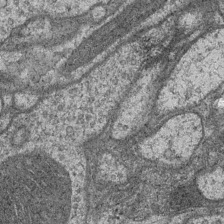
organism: Drosophila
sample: Optic medulla